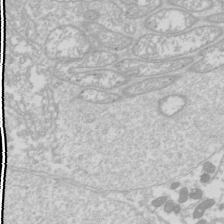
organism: Drosophila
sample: Cell division; meiosis; drosophila spermatocytes